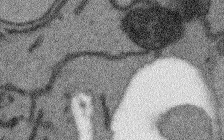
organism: Arabidopsis thaliana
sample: Root tip